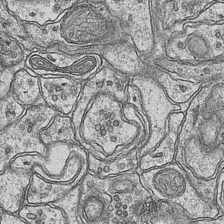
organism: Mouse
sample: CA1 Hippocampus